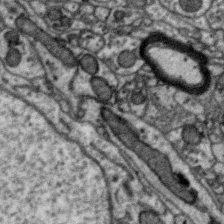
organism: Zebra finch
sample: Brain